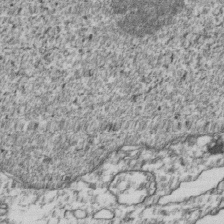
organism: Human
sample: Activated Jurkat CD4+ T cells